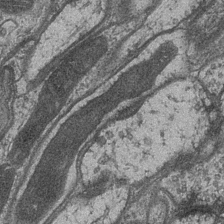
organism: Drosophila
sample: Optic medulla